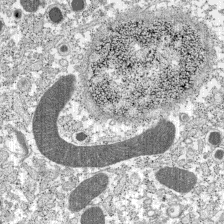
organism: C57BL Mouse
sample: Pancreatic islet